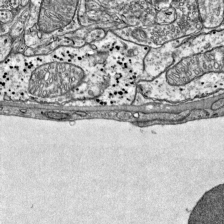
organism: Mouse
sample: Visual Cortex